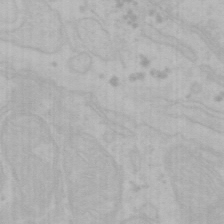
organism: Mouse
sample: Choroid plexus